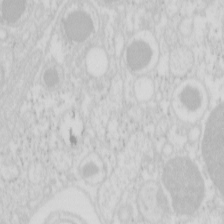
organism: Mouse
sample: Pancreas